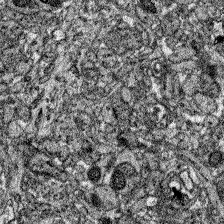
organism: Zebrafish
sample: Larval olfactory bulb